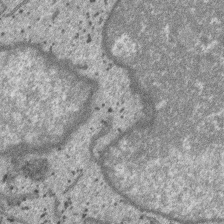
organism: Human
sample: Lung epithelial cells infected with SARS-CoV-2